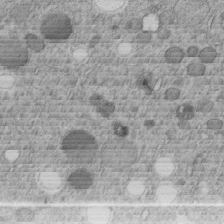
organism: C. elegans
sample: C. elegans embryo early stage